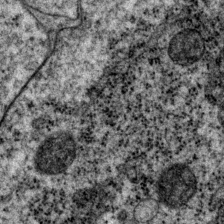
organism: P. pacificus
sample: Pharynx